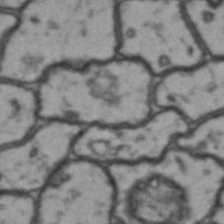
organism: Drosophila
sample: Brain